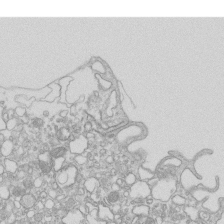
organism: Mouse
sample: Macrophages